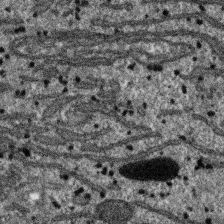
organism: Human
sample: Lung epithelial cells infected with SARS-CoV-2